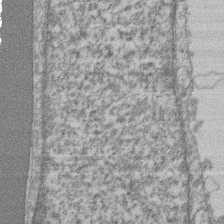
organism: Mouse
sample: T cell stromal cell synapse